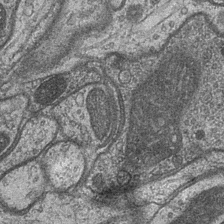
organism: Drosophila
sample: Optic medulla